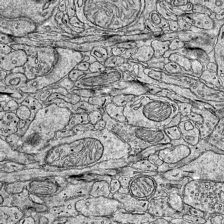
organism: Mouse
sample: Visual Cortex